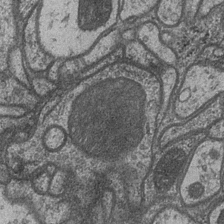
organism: Drosophila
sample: Optic medulla